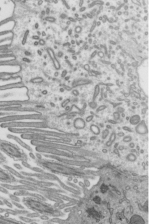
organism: Mouse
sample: Mouse epididymis efferent ductule cilia